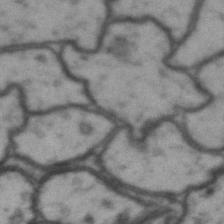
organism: Drosophila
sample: Brain